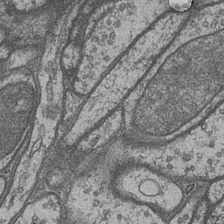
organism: Drosophila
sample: Optic medulla